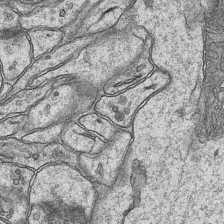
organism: Mouse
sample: CA1 Hippocampus